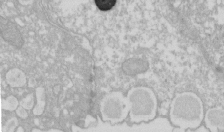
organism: Xenopus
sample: Cilia; centrioles in frog embryo cells